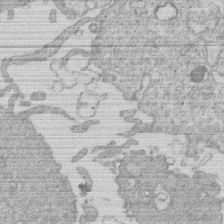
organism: Human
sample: Macrophage cells